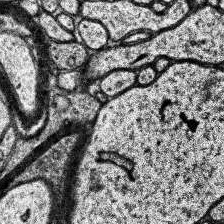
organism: Human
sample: Temporal Lobe